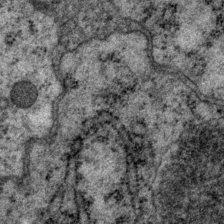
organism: P. pacificus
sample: Pharynx